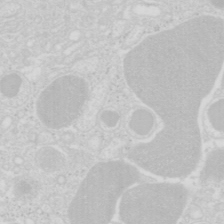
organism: Mouse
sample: Pancreas